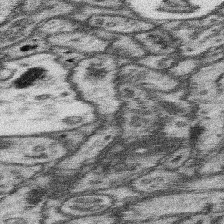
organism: Mouse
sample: Somatosensory cortex neuropil